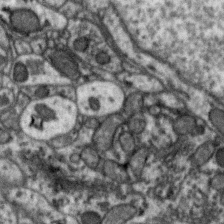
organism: Zebra finch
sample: Brain